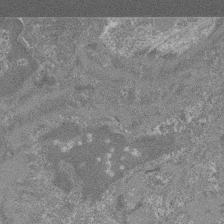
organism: Mouse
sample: Glomerulus